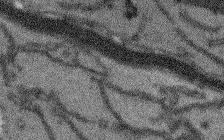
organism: Arabidopsis thaliana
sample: Root tip